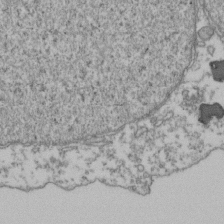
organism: Human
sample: Activated Jurkat CD4+ T cells